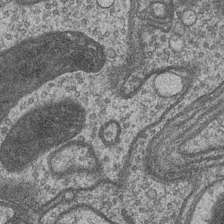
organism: Drosophila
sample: Optic medulla